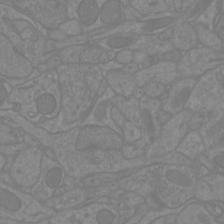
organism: Mouse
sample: Cortical neurons